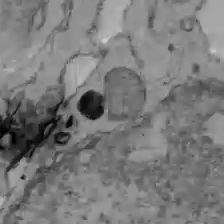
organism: C57BL Mouse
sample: Liver